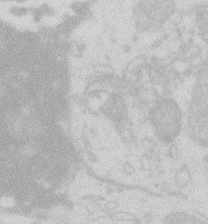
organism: Zebrafish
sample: Macrophage